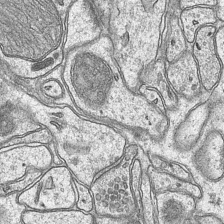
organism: Mouse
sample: CA1 Hippocampus